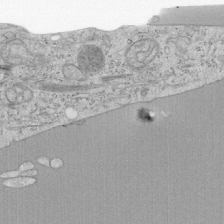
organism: Human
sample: HeLa cells